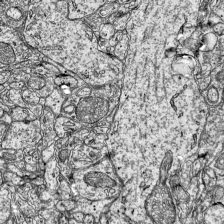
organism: Mouse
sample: Visual Cortex